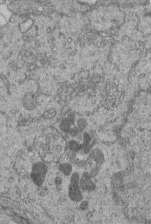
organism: Human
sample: Retinal organoid Rod and Cone cells